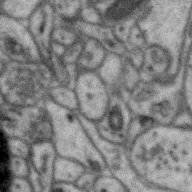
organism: Zebra finch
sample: Brain